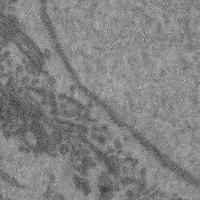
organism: Mouse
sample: Cerebral cortex